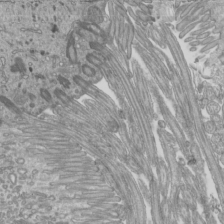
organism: Mouse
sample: Cilia; mouse epididymis